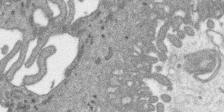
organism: Human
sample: Lung epithelial cells infected with SARS-CoV-2